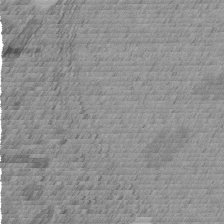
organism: C. elegans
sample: C. elegans embryo early stage